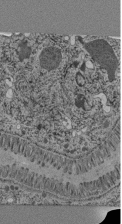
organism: C. elegans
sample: C. elegans pharynx